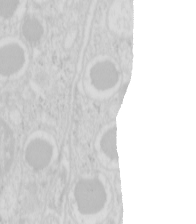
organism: Mouse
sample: Pancreas